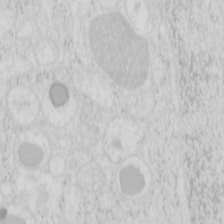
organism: Mouse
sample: Pancreas